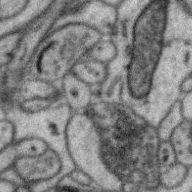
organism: Zebra finch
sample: Brain